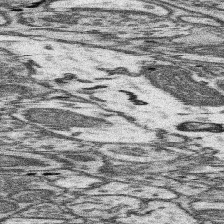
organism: Mouse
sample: Somatosensory cortex neuropil